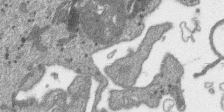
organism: Human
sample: Lung epithelial cells infected with SARS-CoV-2